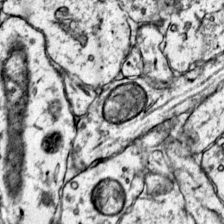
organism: Mouse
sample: Primary visual cortex